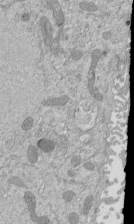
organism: Mouse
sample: ED-1 cell nuclei; centrioles